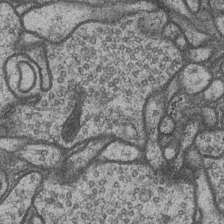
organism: Drosophila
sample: Optic medulla